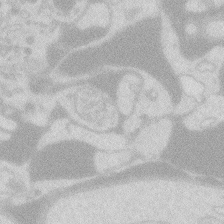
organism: Zebrafish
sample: Macrophage